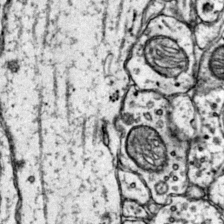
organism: Mouse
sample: Primary visual cortex